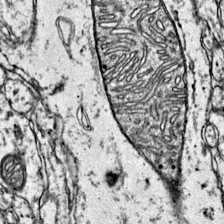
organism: Mouse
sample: Primary visual cortex